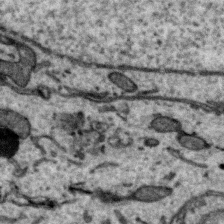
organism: Zebra finch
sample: Brain